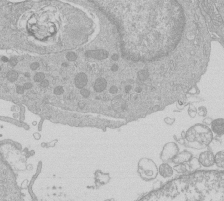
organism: Human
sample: Macrophage cells